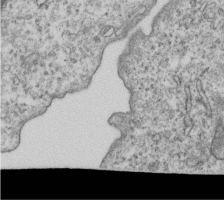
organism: Human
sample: MDA-MB-231 cells